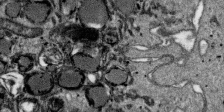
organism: Human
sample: Lung epithelial cells, uninfected (mock) control